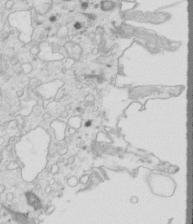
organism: Mouse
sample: Multiciliated cells